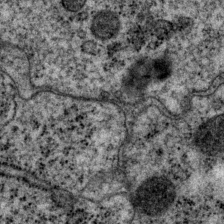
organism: P. pacificus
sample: Pharynx